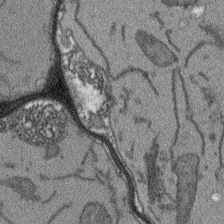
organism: Arabidopsis thaliana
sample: Root tip